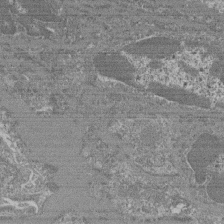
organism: Mouse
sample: Glomerulus